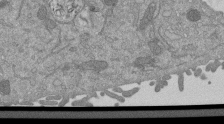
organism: Mouse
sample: ED-1 cell nuclei; centrioles